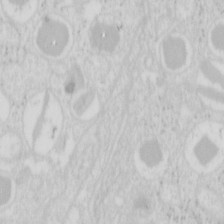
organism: Mouse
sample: Pancreas